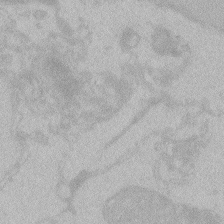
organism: Zebrafish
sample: Macrophage infected with Toxoplasma gondii